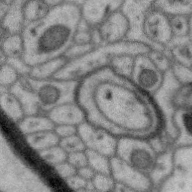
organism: Zebra finch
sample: Brain